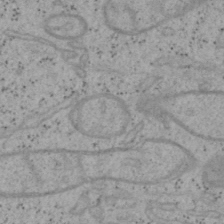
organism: Human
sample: HeLa cells